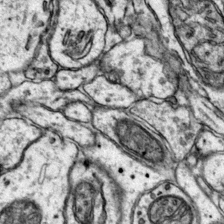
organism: Mouse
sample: Primary visual cortex